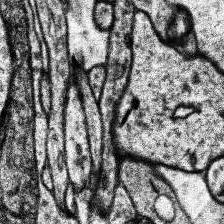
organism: Human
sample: Temporal Lobe